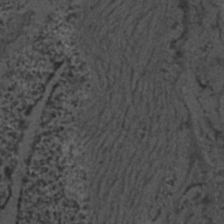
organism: C. elegans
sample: C. elegans embryo